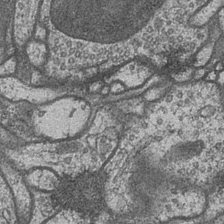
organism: Drosophila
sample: Optic medulla